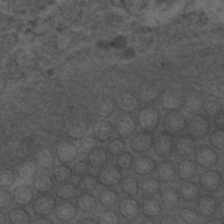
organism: C. elegans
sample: C. elegans embryo